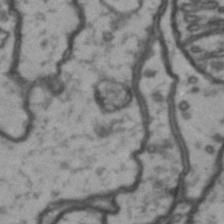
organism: Drosophila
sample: Brain